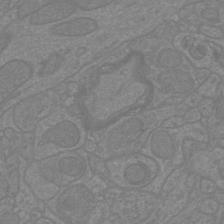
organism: Mouse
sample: Cortical neurons